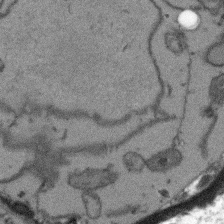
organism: Arabidopsis thaliana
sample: Root tip